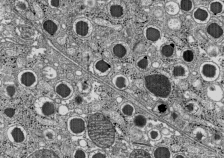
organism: C57BL Mouse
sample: Pancreatic islet